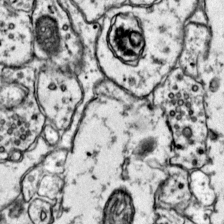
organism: Mouse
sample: Primary visual cortex